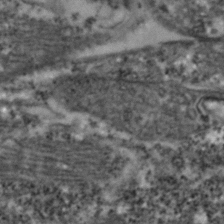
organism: Zebrafish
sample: Zebrafish embryo